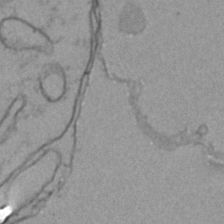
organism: Zebrafish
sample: Zebrafish embryo